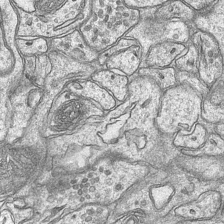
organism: Mouse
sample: CA1 Hippocampus